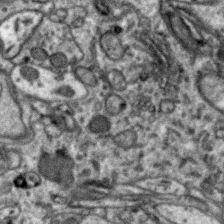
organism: Zebra finch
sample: Brain